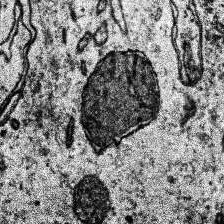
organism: Human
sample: Temporal Lobe